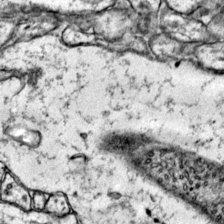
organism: Mouse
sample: Primary visual cortex